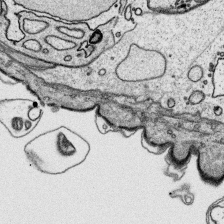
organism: Platynereis dumerilii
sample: Parapodia